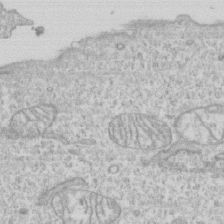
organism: Human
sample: CRL-1474